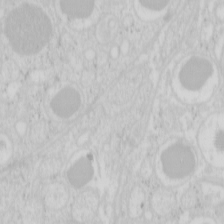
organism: Mouse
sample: Pancreas